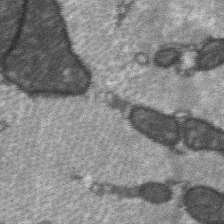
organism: C57BL Mouse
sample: Soleus